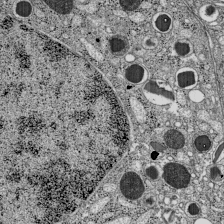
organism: C57BL Mouse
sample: Pancreatic islet